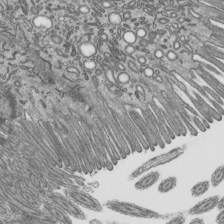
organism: Mouse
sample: Mouse epididymis efferent ductule cilia